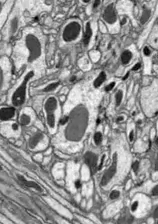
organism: Drosophila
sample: Optic lobe